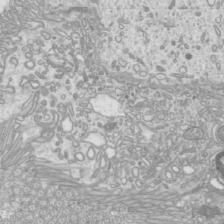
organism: Mouse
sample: Cilia; mouse epididymis